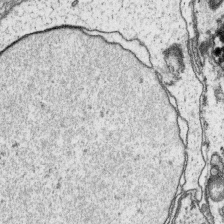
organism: Platynereis dumerilii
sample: Parapodia